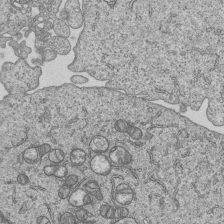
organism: Human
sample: MDA-MB-231 cells